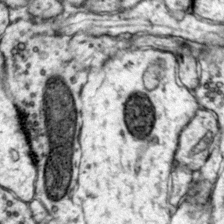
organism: Mouse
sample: Primary visual cortex